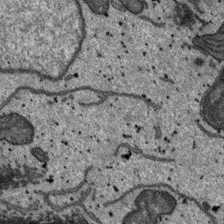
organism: Human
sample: Lung epithelial cells, uninfected (mock) control